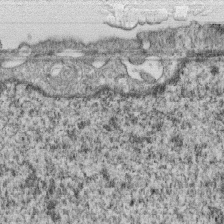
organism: African green monkey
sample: Vero E6 cells infected with SARS-CoV-2